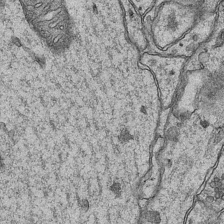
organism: Mouse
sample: CA1 Hippocampus